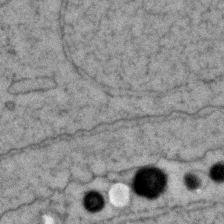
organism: Zebrafish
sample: Zebrafish embryo